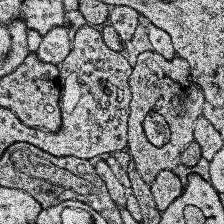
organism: Human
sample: Temporal Lobe